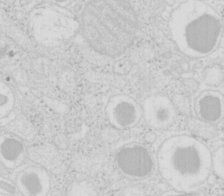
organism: Mouse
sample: Pancreas